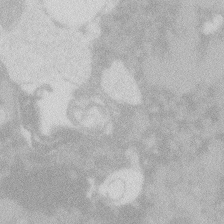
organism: Zebrafish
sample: Macrophage